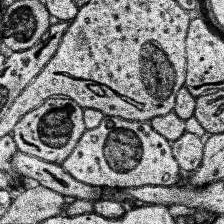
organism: Human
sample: Temporal Lobe